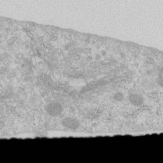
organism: Human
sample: Centriole in RPE cells